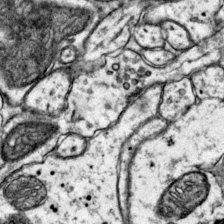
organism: Mouse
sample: Primary visual cortex